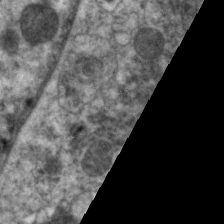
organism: C. elegans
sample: Pharynx